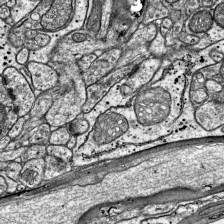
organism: Mouse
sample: Visual Cortex